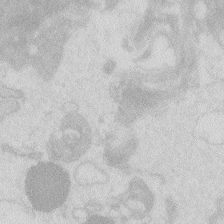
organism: Zebrafish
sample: Macrophage